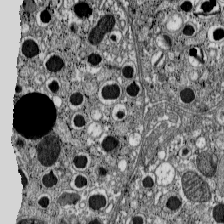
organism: C57BL Mouse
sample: Pancreatic islet